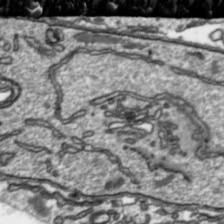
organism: Toxoplasma gondii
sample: Parasites in a vacuole inside a host cell